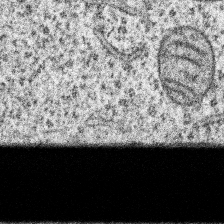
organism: Human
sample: HeLa cells